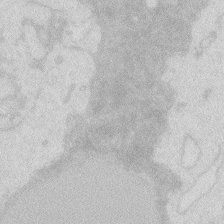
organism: Zebrafish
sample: Macrophage